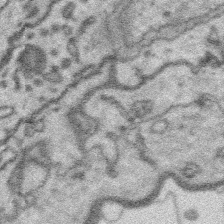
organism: Platynereis dumerilii